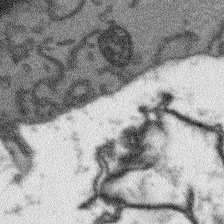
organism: Arabidopsis thaliana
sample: Root tip